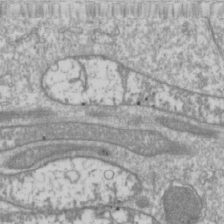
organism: Drosophila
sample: Cell division; meiosis; drosophila spermatocytes